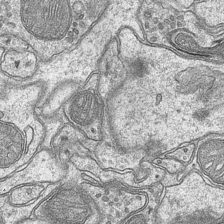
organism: Mouse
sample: CA1 Hippocampus